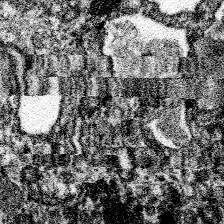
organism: Spongilla lacustris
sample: Neuroid cell